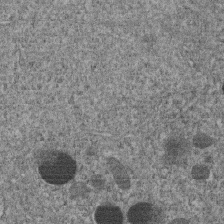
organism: C. elegans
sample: C. elegans embryo early stage